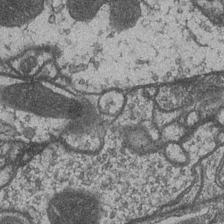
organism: Drosophila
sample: Optic medulla